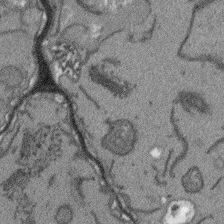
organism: Arabidopsis thaliana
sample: Root tip